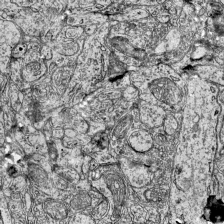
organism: Mouse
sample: Visual Cortex